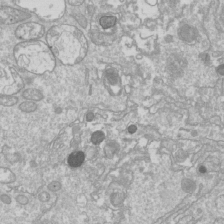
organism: Drosophila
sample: Cell division; meiosis; drosophila spermatocytes